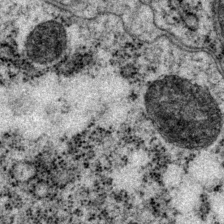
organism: P. pacificus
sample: Pharynx